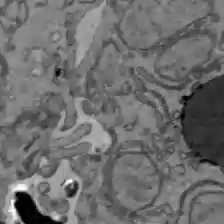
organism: C57BL Mouse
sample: Liver